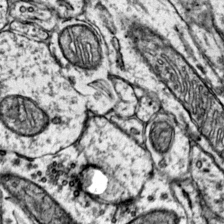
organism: Mouse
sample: Primary visual cortex